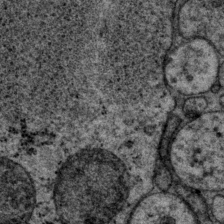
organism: P. pacificus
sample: Pharynx